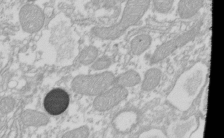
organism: Xenopus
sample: Cilia; centrioles in frog embryo cells